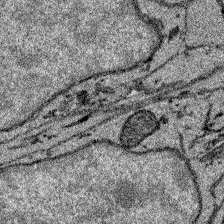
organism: Zebrafish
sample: Larval olfactory bulb